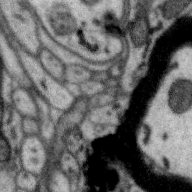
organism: Zebra finch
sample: Brain